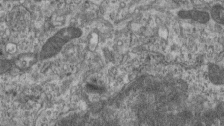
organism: Mouse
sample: Centriole in ependymal cells